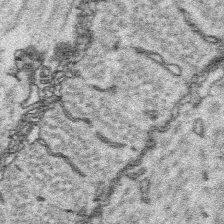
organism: Platynereis dumerilii